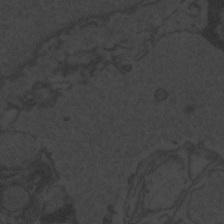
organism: Zebrafish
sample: Macrophage infected with Toxoplasma gondii